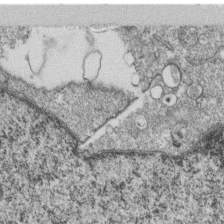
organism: African green monkey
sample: Vero E6 cells infected with SARS-CoV-2